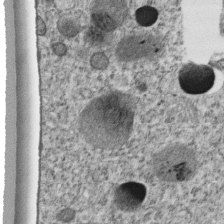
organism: C. elegans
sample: C. elegans embryo early stage